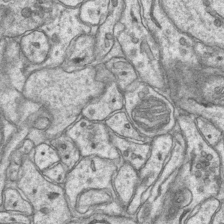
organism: Mouse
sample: CA1 Hippocampus